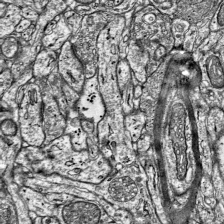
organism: Mouse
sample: Visual Cortex